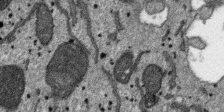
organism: Human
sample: Lung epithelial cells, uninfected (mock) control